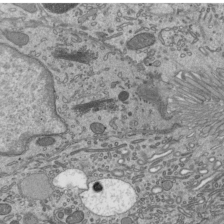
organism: Mouse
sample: Mouse epididymis efferent ductule cilia